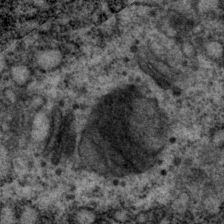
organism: P. pacificus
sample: Pharynx